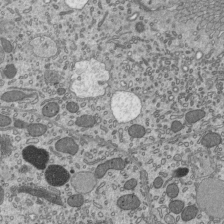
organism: Mouse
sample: Mouse epididymis efferent ductule cilia